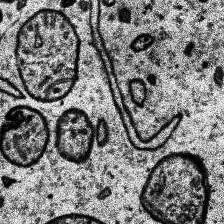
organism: Human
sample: Temporal Lobe